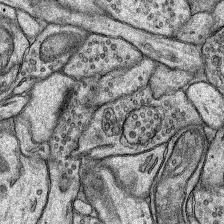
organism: Rat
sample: Hippocampus